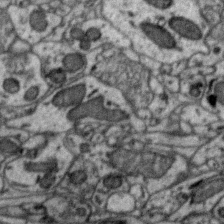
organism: Zebra finch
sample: Brain